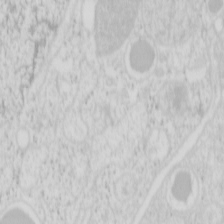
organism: Mouse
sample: Pancreas